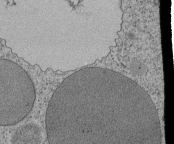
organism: Tetrahymena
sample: Cilia in tetrahymena